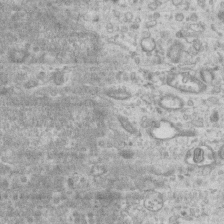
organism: Mouse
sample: Centriole in ependymal cells